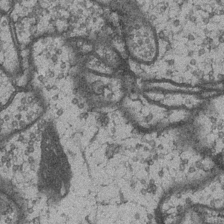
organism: Drosophila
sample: Optic medulla